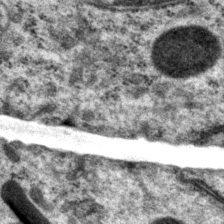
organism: P. pacificus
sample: Pharynx